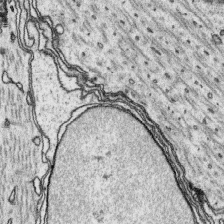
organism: Platynereis dumerilii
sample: Parapodia